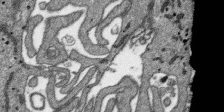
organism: Human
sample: Lung epithelial cells, uninfected (mock) control